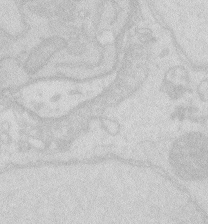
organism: Zebrafish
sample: Macrophage